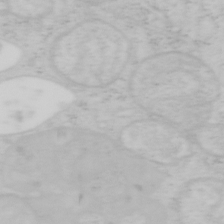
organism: Mouse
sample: OT-I killer T cells with ID8 ovarian cancer cells